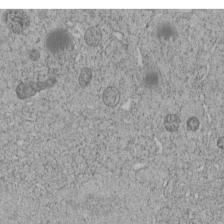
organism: C. elegans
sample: C. elegans embryo early stage